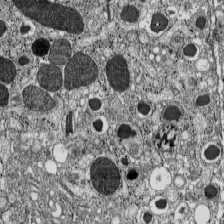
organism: C57BL Mouse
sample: Pancreatic islet